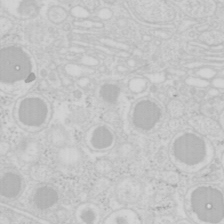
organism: Mouse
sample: Pancreas